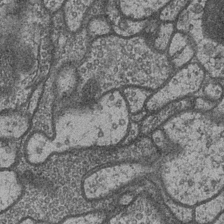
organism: Drosophila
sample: Optic medulla